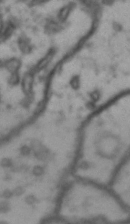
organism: Drosophila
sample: Brain